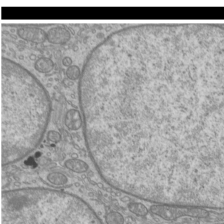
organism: Mouse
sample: Cilia; mouse epididymis